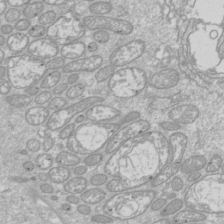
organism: Drosophila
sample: Cell division; meiosis; drosophila spermatocytes